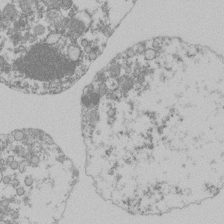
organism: Mouse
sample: Activated Pmel transgenic CD8+ T Cells